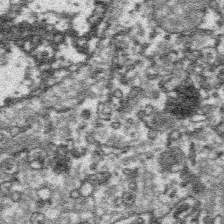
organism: Platynereis dumerilii